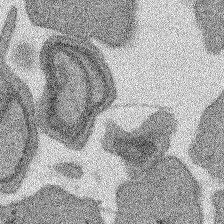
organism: Human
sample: HeLa cells